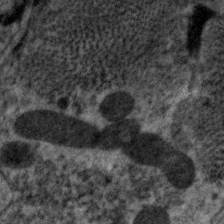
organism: C. elegans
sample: Pharynx